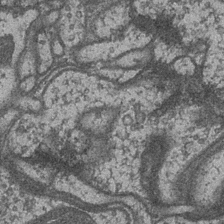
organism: Drosophila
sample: Optic medulla